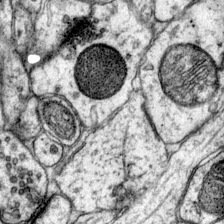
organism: Mouse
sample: Primary visual cortex